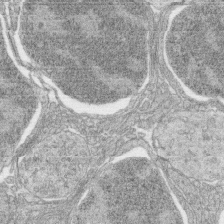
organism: Zebrafish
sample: synaptic ribbons in rod cells and cone cells